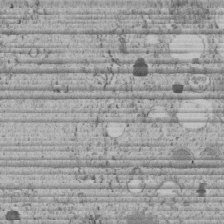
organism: C. elegans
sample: C. elegans embryo early stage